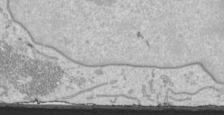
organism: Human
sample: Mitochondria in HCT116 cells